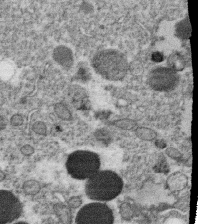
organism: C. elegans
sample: C. elegans oocyte; sperm cells